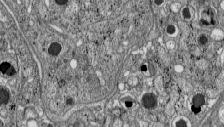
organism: C57BL Mouse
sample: Pancreatic islet